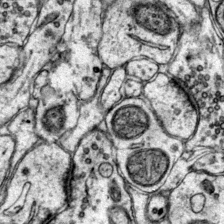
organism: Mouse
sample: Primary visual cortex